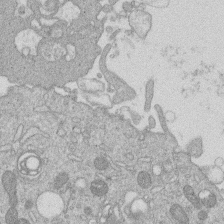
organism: Human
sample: Macrophage cells